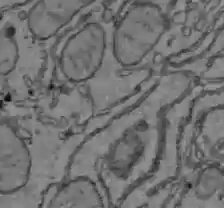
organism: C57BL Mouse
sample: Liver